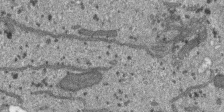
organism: Human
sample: Lung epithelial cells infected with SARS-CoV-2